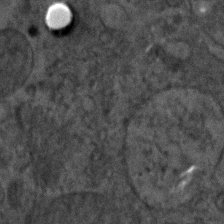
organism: C. elegans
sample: C. elegans embryo